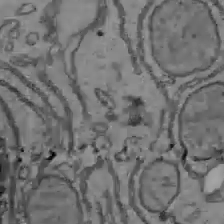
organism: C57BL Mouse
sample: Liver